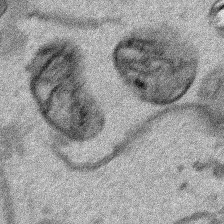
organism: Human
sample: Mitochondria in HCT116 cells